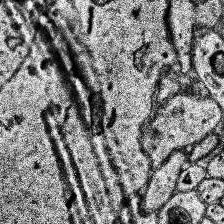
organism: Human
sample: Temporal Lobe